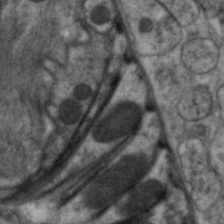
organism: C. elegans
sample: Pharynx